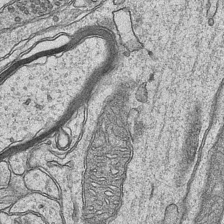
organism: Mouse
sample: CA1 Hippocampus